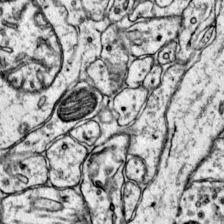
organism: Mouse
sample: Primary visual cortex